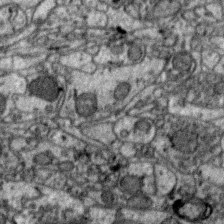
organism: Zebra finch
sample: Brain